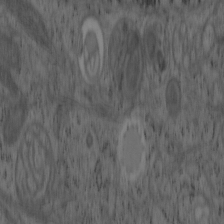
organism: Human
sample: HeLa cells